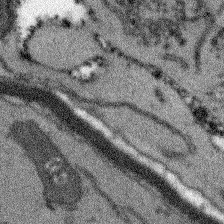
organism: Arabidopsis thaliana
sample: Root tip